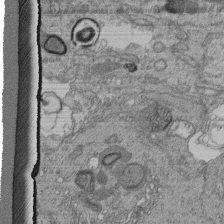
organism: Human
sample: Retinal organoid Rod and Cone cells